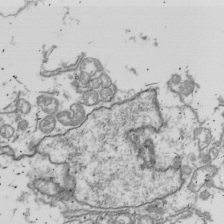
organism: Drosophila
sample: Cell division; meiosis; drosophila spermatocytes